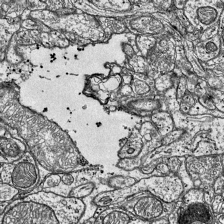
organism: Mouse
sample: Visual Cortex